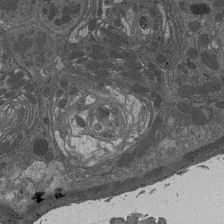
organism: Drosophila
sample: Antenna